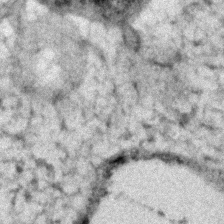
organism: Human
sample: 1205lu cells